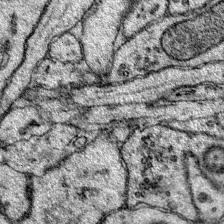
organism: Mouse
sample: Primary visual cortex